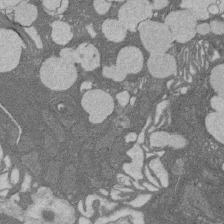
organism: Rat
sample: Salivary granule